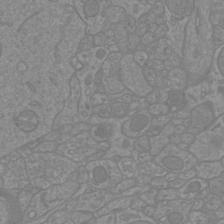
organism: Mouse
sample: Cortical neurons